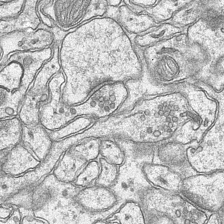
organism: Mouse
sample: CA1 Hippocampus